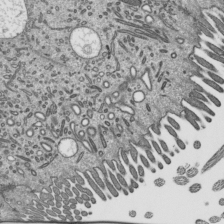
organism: Mouse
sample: Mouse epididymis efferent ductule cilia